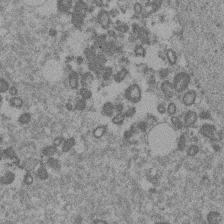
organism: Mouse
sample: Dividing mouse embryo 1 cell stage